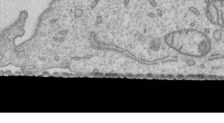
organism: Human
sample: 1205lu cells